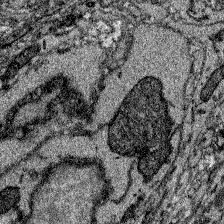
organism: Zebrafish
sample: Larval olfactory bulb